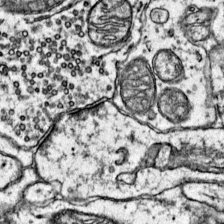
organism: Mouse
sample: Primary visual cortex